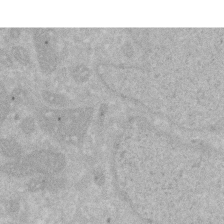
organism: Human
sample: HIV infected U937 cells